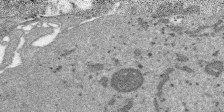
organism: Human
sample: Lung epithelial cells infected with SARS-CoV-2